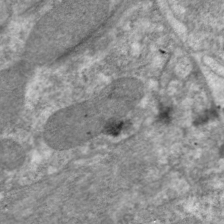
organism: C. elegans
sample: Pharynx